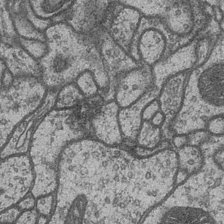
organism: Drosophila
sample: Optic medulla